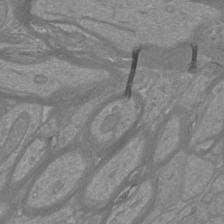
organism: Mouse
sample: Cortical neurons